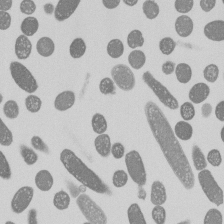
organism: E. coli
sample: Bacterial nucleoid